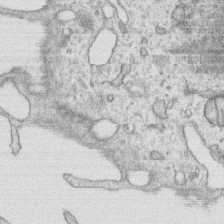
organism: Human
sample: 1205lu cells